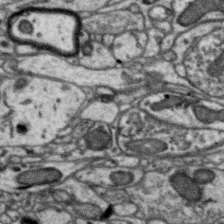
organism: Zebra finch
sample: Brain